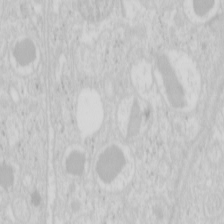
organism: Mouse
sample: Pancreas